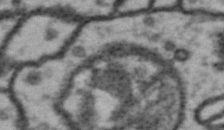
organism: Drosophila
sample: Brain